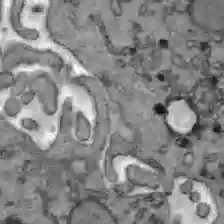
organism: C57BL Mouse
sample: Liver